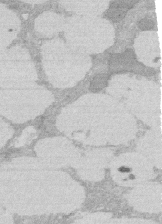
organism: Rat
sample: Salivary granule